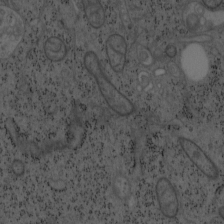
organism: Mouse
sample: OT-I killer T cells with ID8 ovarian cancer cells